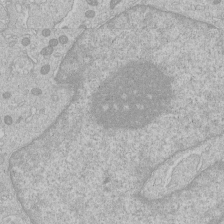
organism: Human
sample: Macrophage cells